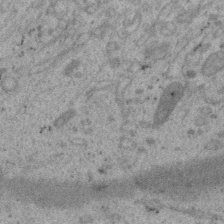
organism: Human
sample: HeLa cells